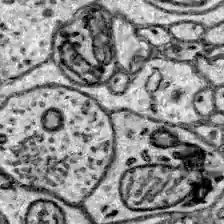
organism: Zebrafish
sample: Brain